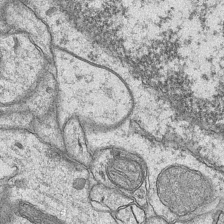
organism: Mouse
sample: CA1 Hippocampus